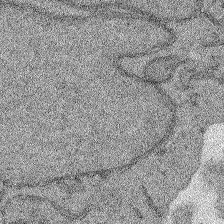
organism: Human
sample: HeLa cells